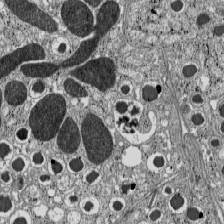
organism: C57BL Mouse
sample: Pancreatic islet